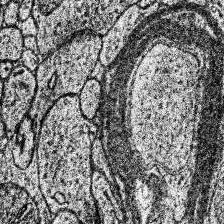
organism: Human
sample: Temporal Lobe